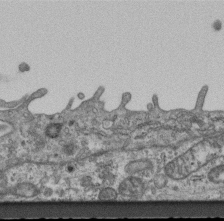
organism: Mouse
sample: Centriole in ependymal cells